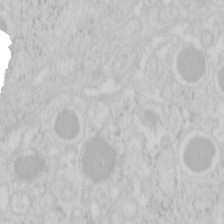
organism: Mouse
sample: Pancreas